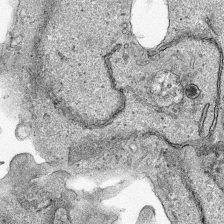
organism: Human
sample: Mitochondria in HCT116 cells